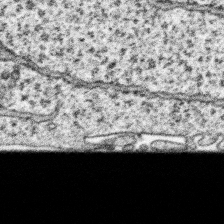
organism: Human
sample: HeLa cells